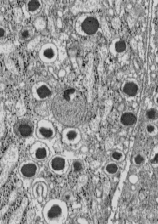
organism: C57BL Mouse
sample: Pancreatic islet